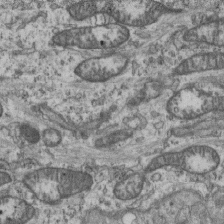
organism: Mouse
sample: Centriole in ependymal cells